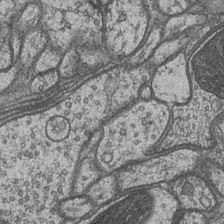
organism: Drosophila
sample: Optic medulla